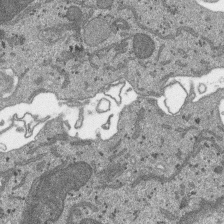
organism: Human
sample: Lung epithelial cells infected with SARS-CoV-2